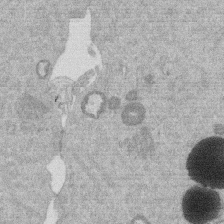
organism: Mouse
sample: Dividing mouse embryo 1 cell stage